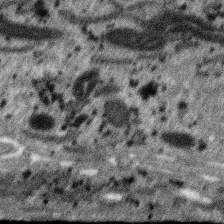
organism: Human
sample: Lung epithelial cells infected with SARS-CoV-2